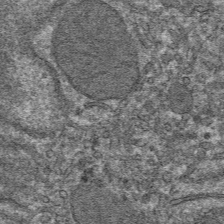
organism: Mouse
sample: Mouse hepatocytes